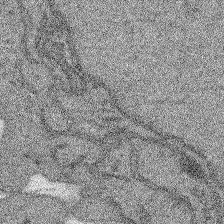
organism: Human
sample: HeLa cells